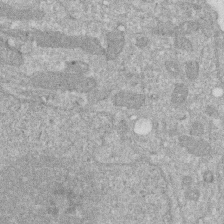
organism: Human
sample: HIV infected U937 cells